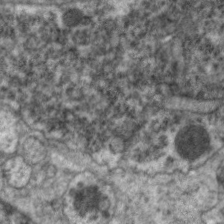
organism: C. elegans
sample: Pharynx